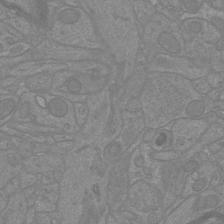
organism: Mouse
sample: Cortical neurons